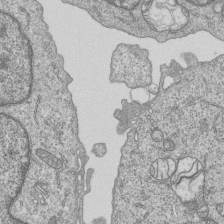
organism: Human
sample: MDA-MB-231 cells